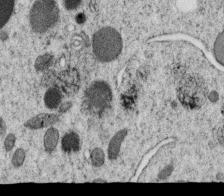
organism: C. elegans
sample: C. elegans oocyte; sperm cells